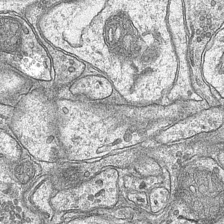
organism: Mouse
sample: CA1 Hippocampus